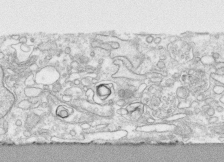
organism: Human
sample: CRL-1474